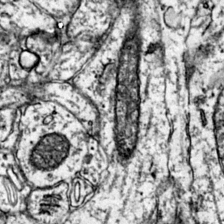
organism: Mouse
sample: Primary visual cortex